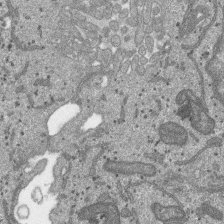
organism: Human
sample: Lung epithelial cells infected with SARS-CoV-2